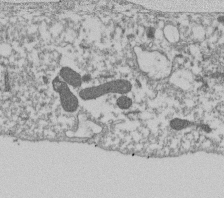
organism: Dictyostelium discoideum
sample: Dictyostelium multivesicular bodies